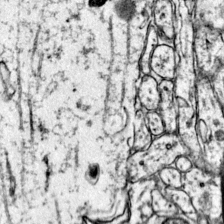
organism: Mouse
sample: Primary visual cortex